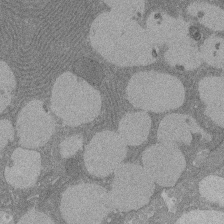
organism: Rat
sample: Salivary granule